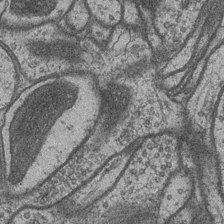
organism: Drosophila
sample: Optic medulla